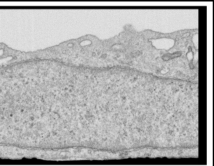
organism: Human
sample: Centriole in RPE cells